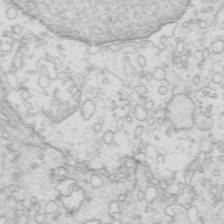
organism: Mouse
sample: Multiciliated cells